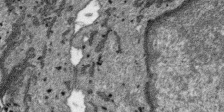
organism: Human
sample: Lung epithelial cells, uninfected (mock) control